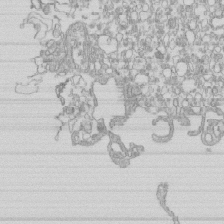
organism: Mouse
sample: Macrophages